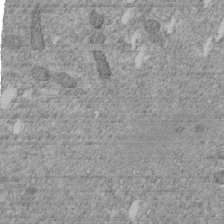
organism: C. elegans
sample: C. elegans embryo early stage